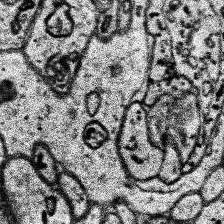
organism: Human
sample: Temporal Lobe